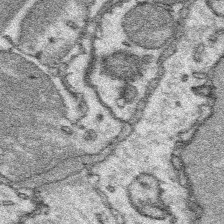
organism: Platynereis dumerilii